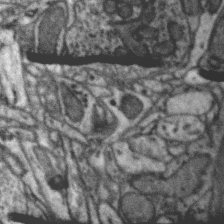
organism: Zebra finch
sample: Brain